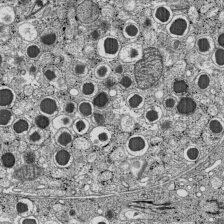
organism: C57BL Mouse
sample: Pancreatic islet